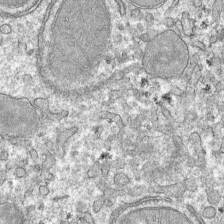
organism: Mouse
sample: Mouse hepatocytes